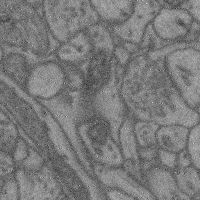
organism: Mouse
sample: Cerebral cortex